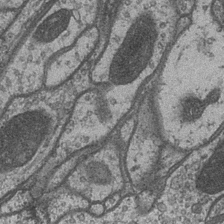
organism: Drosophila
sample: Optic medulla